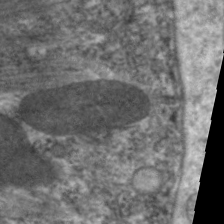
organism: C. elegans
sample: Pharynx